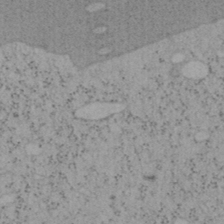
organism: Mouse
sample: OT-I killer T cells with ID8 ovarian cancer cells